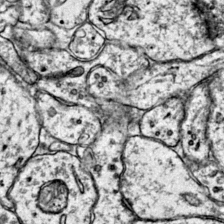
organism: Mouse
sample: Primary visual cortex